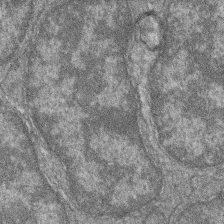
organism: Zebrafish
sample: Cilia; retinal pigment epithelium